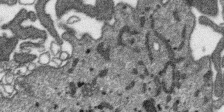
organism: Human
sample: Lung epithelial cells infected with SARS-CoV-2